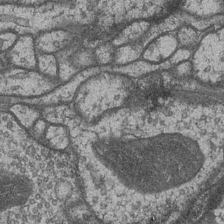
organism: Drosophila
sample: Optic medulla